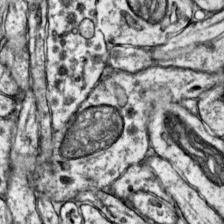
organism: Mouse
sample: Primary visual cortex